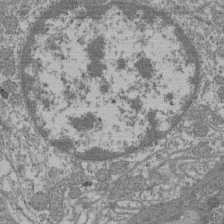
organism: Mouse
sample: Glomerulus